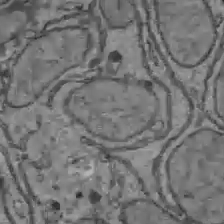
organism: C57BL Mouse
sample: Liver